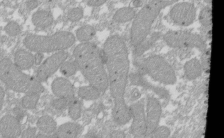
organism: Xenopus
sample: Cilia; centrioles in frog embryo cells